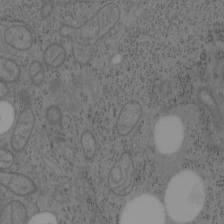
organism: Mouse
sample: OT-I killer T cells with ID8 ovarian cancer cells